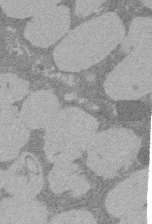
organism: Rat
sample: Salivary granule